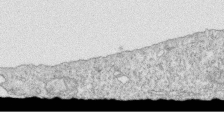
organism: Human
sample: HeLa cell HIV synapse